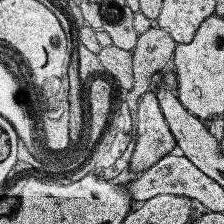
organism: Human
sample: Temporal Lobe